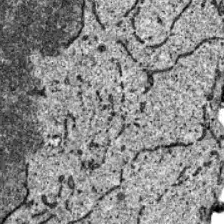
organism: Human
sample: HeLa cells